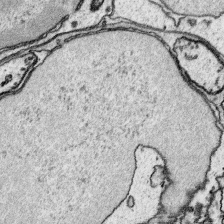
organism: Platynereis dumerilii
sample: Parapodia